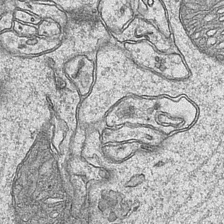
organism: Mouse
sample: CA1 Hippocampus